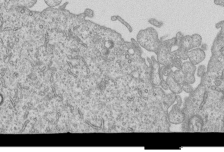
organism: Human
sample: MDA-MB-231 cells